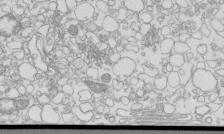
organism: Mouse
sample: Macrophages